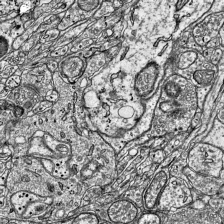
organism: Mouse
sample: Visual Cortex